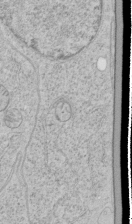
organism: Human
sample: Mitochondria in HCT116 cells